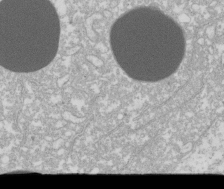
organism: Xenopus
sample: Cilia; centrioles in frog embryo cells